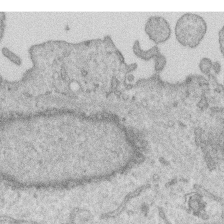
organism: Human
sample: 1205lu cells